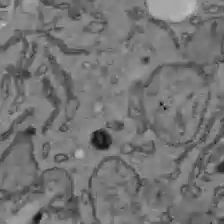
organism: C57BL Mouse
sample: Liver